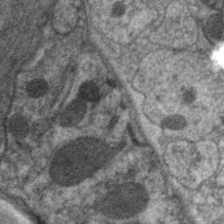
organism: C. elegans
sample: Pharynx